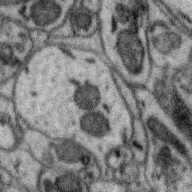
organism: Zebra finch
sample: Brain